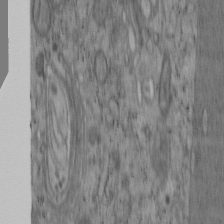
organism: Human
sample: HeLa cells